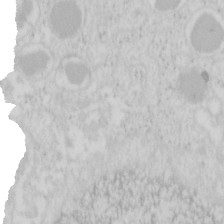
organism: Mouse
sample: Pancreas